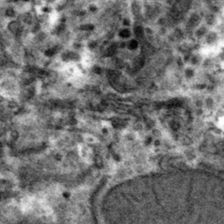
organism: Mouse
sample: Mouse hepatocytes